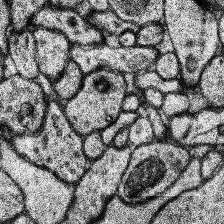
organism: Human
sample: Temporal Lobe